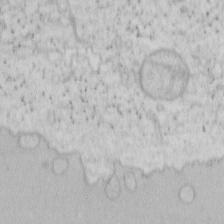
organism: Human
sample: HeLa cells